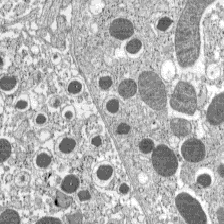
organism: C57BL Mouse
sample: Pancreatic islet